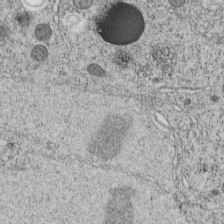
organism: C. elegans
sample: C. elegans embryo early stage